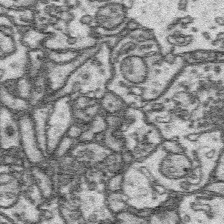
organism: Platynereis dumerilii